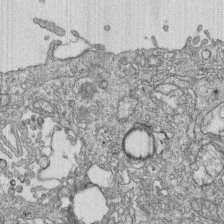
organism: Human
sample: HeLa cell HIV synapse